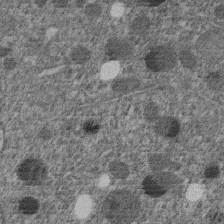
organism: C. elegans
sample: C. elegans embryo early stage